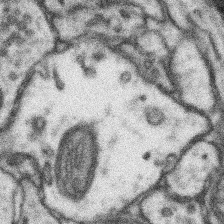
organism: Mouse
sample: Somatosensory cortex neuropil